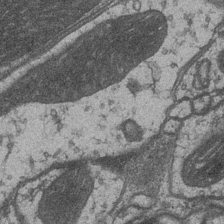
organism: Drosophila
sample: Optic medulla